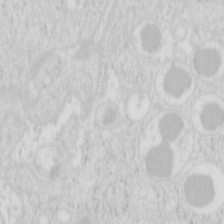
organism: Mouse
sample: Pancreas